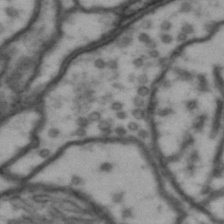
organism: Drosophila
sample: Brain